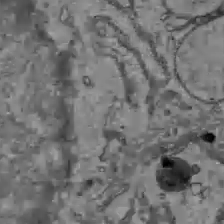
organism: C57BL Mouse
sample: Liver